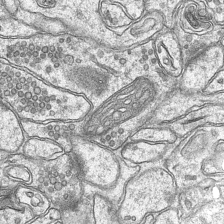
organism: Mouse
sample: CA1 Hippocampus